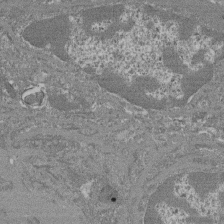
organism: Mouse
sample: Glomerulus